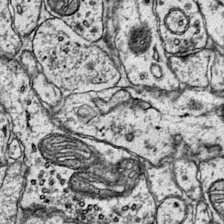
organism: Mouse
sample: Primary visual cortex